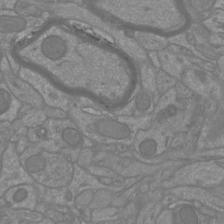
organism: Mouse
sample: Cortical neurons